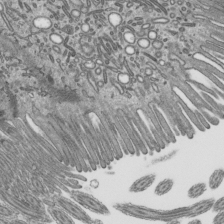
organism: Mouse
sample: Mouse epididymis efferent ductule cilia